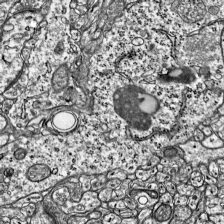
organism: Mouse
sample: Visual Cortex